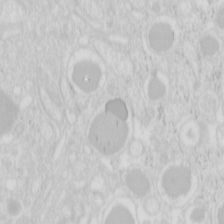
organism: Mouse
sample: Pancreas